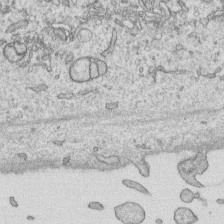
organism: Human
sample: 1205lu cells